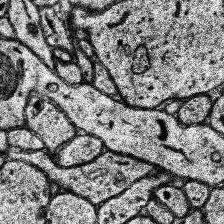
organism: Human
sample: Temporal Lobe